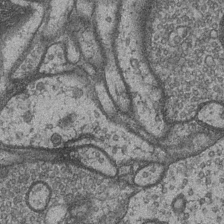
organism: Drosophila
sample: Optic medulla